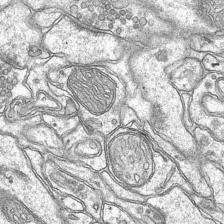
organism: Mouse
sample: CA1 Hippocampus